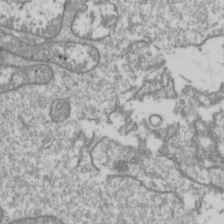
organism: Drosophila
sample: Cell division; meiosis; drosophila spermatocytes